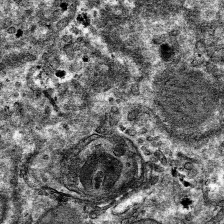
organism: Mouse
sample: Mouse hepatocytes